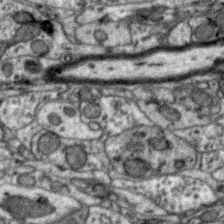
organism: Zebra finch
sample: Brain